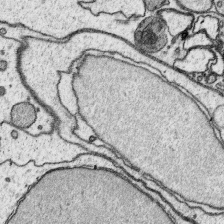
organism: Platynereis dumerilii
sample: Parapodia